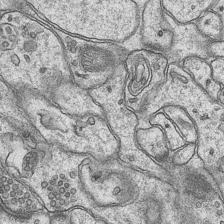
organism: Mouse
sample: CA1 Hippocampus